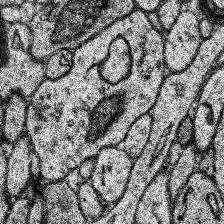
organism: Human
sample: Temporal Lobe